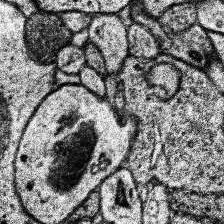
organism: Human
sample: Temporal Lobe